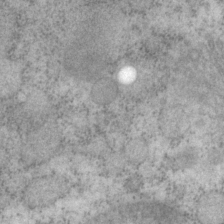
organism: P. pacificus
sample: Pharynx